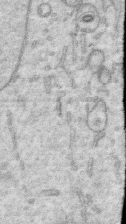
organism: Human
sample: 1205lu cells